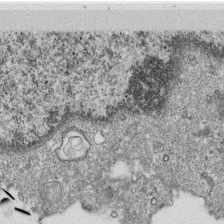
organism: African green monkey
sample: Vero E6 cells infected with SARS-CoV-2